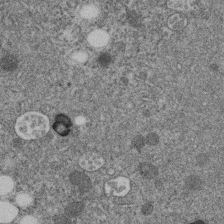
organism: C. elegans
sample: C. elegans embryo early stage